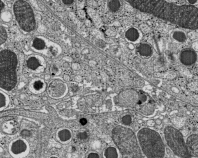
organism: C57BL Mouse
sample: Pancreatic islet